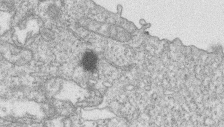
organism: Human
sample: HeLa cell HIV synapse